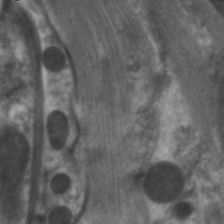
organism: C. elegans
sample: Pharynx